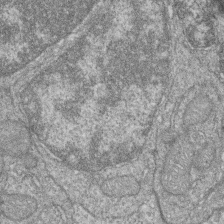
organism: Zebrafish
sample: Cilia; retinal pigment epithelium